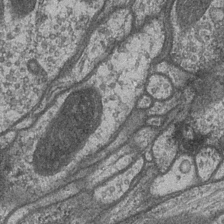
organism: Drosophila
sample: Optic medulla